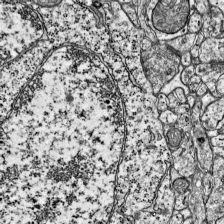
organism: Mouse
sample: Visual Cortex